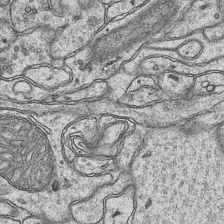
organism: Mouse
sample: CA1 Hippocampus